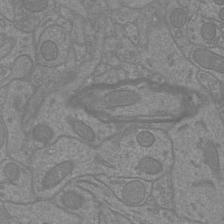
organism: Mouse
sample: Cortical neurons